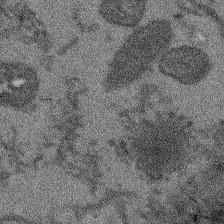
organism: Arabidopsis thaliana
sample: Root tip